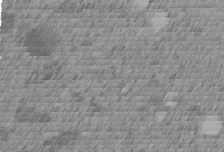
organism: C. elegans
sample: C. elegans embryo early stage